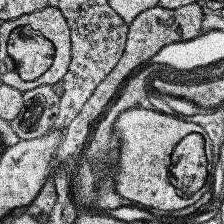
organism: Human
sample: Temporal Lobe